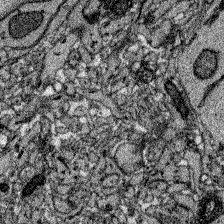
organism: Zebrafish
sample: Larval olfactory bulb